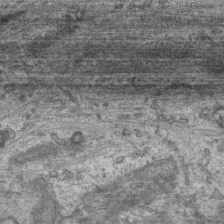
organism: Mouse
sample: Centriole in ependymal cells